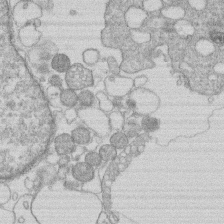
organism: Human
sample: Macrophage cells